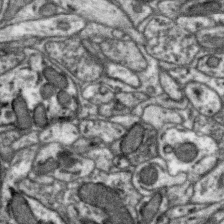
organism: Zebra finch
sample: Brain